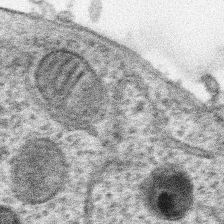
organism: Human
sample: HeLa cells